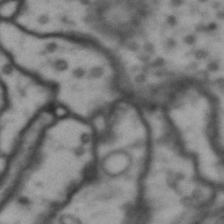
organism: Drosophila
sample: Brain